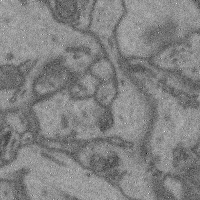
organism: Mouse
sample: Cerebral cortex